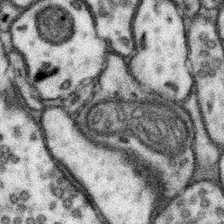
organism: Mouse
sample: Somatosensory cortex neuropil